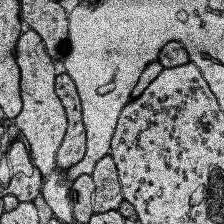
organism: Human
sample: Temporal Lobe